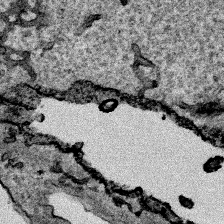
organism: Human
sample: Mitochondria in HCT116 cells